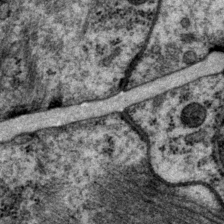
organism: P. pacificus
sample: Pharynx